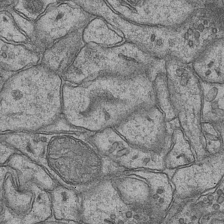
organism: Mouse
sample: CA1 Hippocampus